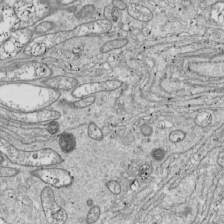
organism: Drosophila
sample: Cell division; meiosis; drosophila spermatocytes